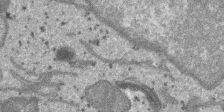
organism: Human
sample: Lung epithelial cells infected with SARS-CoV-2